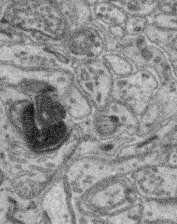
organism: Mouse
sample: Retina